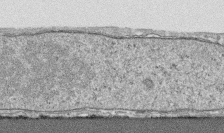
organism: Human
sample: CRL-1474